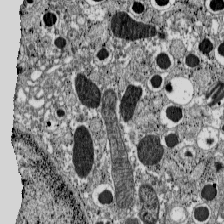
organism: C57BL Mouse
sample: Pancreatic islet